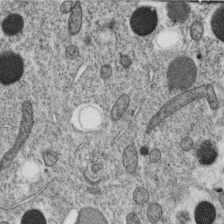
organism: C. elegans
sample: C. elegans oocyte; sperm cells